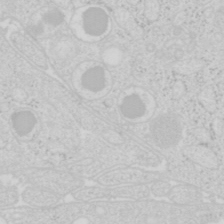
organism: Mouse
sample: Pancreas